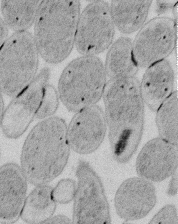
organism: E. coli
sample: Bacterial nucleoid